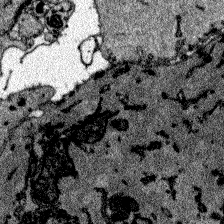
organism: Zebrafish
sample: Larval olfactory bulb